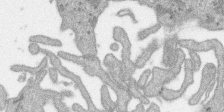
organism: Human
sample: Lung epithelial cells infected with SARS-CoV-2